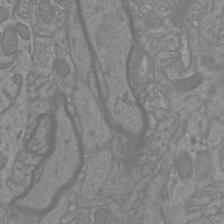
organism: Mouse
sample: Cortical neurons